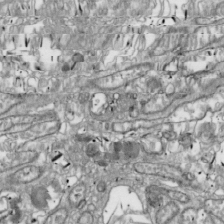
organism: Drosophila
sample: Cell division; meiosis; drosophila spermatocytes